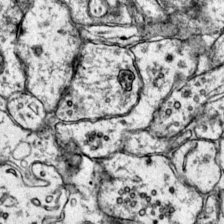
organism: Mouse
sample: Primary visual cortex